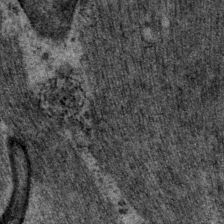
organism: P. pacificus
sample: Pharynx